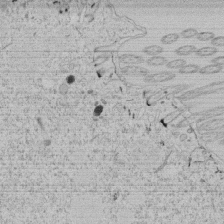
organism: Tetrahymena